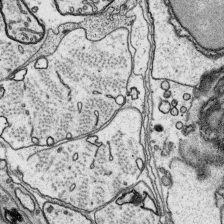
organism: Platynereis dumerilii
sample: Parapodia